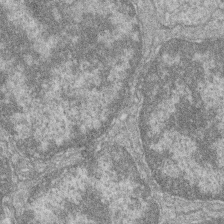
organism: Zebrafish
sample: Cilia; retinal pigment epithelium